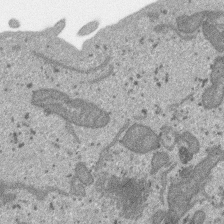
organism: Human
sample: Lung epithelial cells infected with SARS-CoV-2